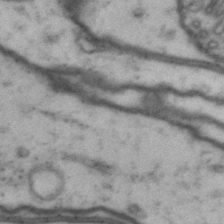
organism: Drosophila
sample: Brain